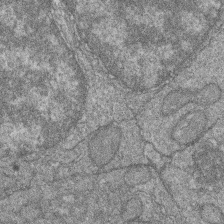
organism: Zebrafish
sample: Cilia; retinal pigment epithelium